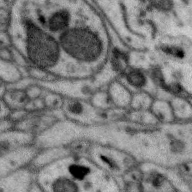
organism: Zebra finch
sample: Brain